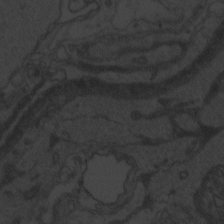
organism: Zebrafish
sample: Macrophage infected with Toxoplasma gondii